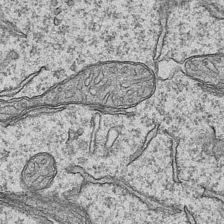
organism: Mouse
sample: CA1 Hippocampus